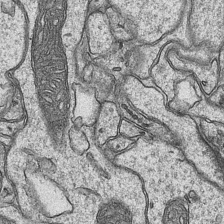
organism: Mouse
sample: CA1 Hippocampus